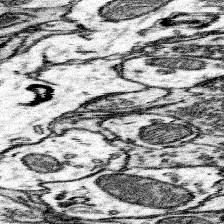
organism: Mouse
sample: Somatosensory cortex neuropil